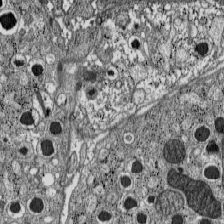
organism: C57BL Mouse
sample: Pancreatic islet